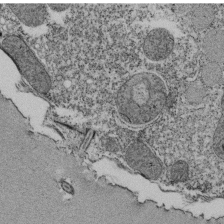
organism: Tetrahymena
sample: Cilia in tetrahymena